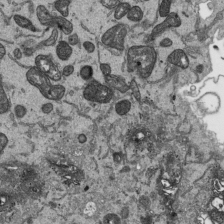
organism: Human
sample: Mitochondria in HCT116 cells